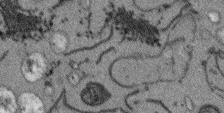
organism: Arabidopsis thaliana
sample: Root tip